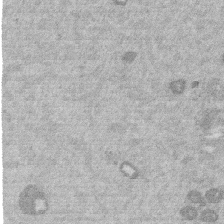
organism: Mouse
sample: Dividing mouse embryo 1 cell stage